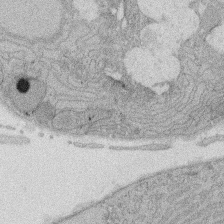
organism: Rat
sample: Salivary granule